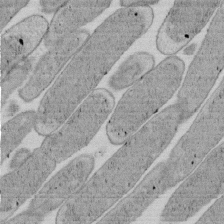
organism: E. coli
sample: Bacterial nucleoid